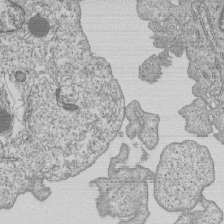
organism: Human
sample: MDA-MB-231 cells